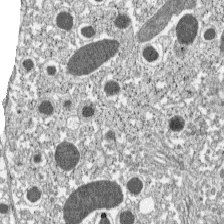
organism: C57BL Mouse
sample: Pancreatic islet